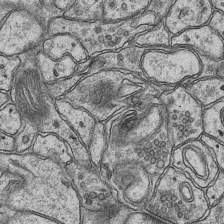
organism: Mouse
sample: CA1 Hippocampus